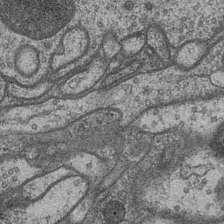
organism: Drosophila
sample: Optic medulla